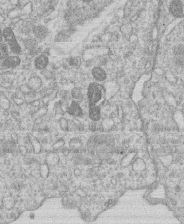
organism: Human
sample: Macrophage cells